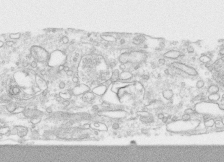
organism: Human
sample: CRL-1474